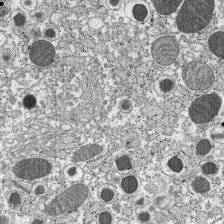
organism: C57BL Mouse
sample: Pancreatic islet